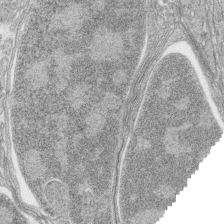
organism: Zebrafish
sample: synaptic ribbons in rod cells and cone cells